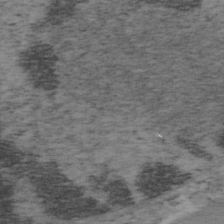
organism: Mouse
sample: OT-I killer T cells with ID8 ovarian cancer cells